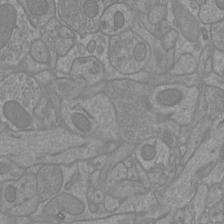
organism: Mouse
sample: Cortical neurons